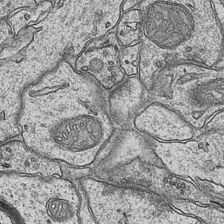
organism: Mouse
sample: CA1 Hippocampus